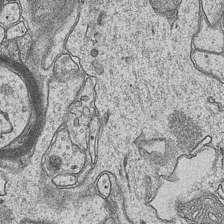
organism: Mouse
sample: CA1 Hippocampus